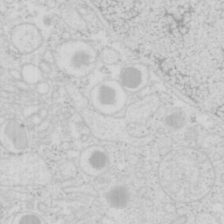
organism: Mouse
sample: Pancreas